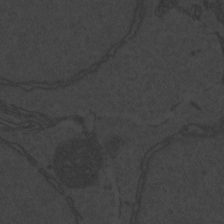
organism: Zebrafish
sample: Macrophage infected with Toxoplasma gondii